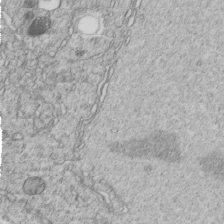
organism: C. elegans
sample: C. elegans embryo early stage